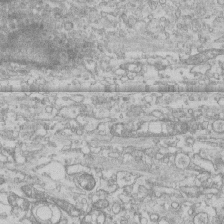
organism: Human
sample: CRL-1474